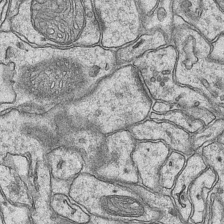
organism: Mouse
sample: CA1 Hippocampus